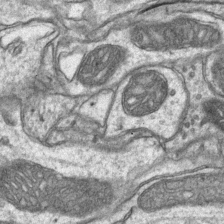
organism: Mouse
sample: CA1 Hippocampus